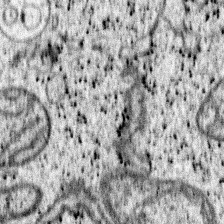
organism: Human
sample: HeLa cells